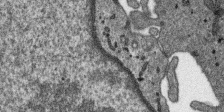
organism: Human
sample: Lung epithelial cells infected with SARS-CoV-2